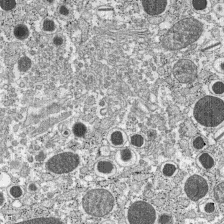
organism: C57BL Mouse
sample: Pancreatic islet